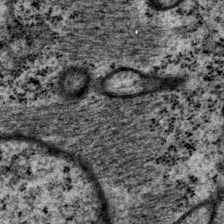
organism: P. pacificus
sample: Pharynx